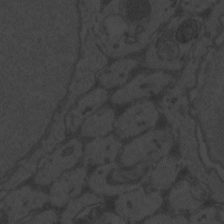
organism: Zebrafish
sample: Macrophage infected with Toxoplasma gondii